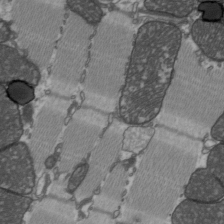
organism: C57BL Mouse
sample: Heart